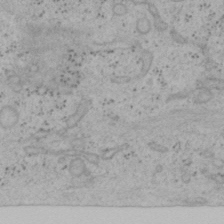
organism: Human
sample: HeLa cells